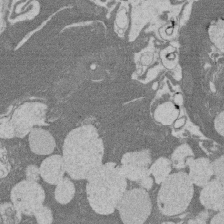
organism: Rat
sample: Salivary granule